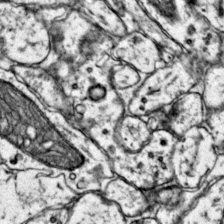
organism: Mouse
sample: Primary visual cortex